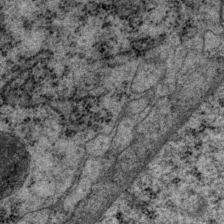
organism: P. pacificus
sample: Pharynx